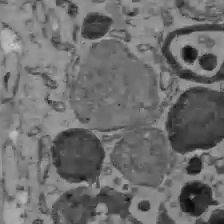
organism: C57BL Mouse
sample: Liver